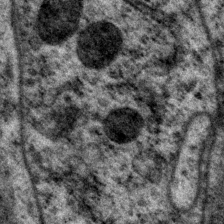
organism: P. pacificus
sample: Pharynx